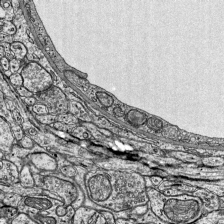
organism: Mouse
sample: Visual Cortex